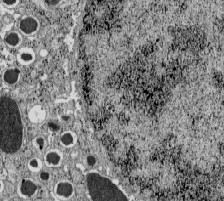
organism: C57BL Mouse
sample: Pancreatic islet